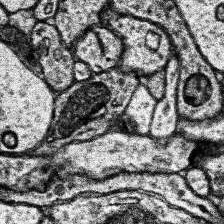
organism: Human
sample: Temporal Lobe